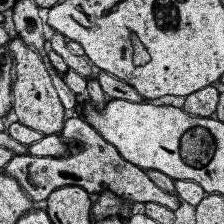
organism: Human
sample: Temporal Lobe